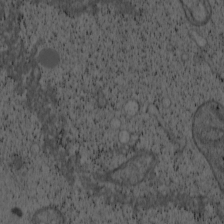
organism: African green monkey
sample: COS-7 cells